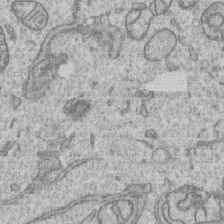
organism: Human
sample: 1205lu cells